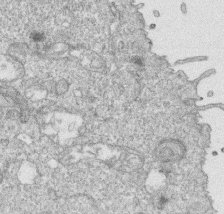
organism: Human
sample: HeLa cell HIV synapse